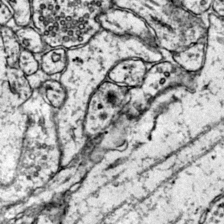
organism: Mouse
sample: Primary visual cortex